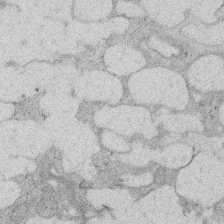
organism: Rat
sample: Salivary granule